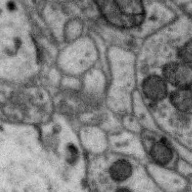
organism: Zebra finch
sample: Brain